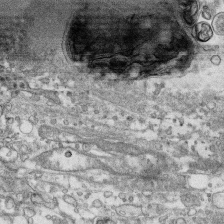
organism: Human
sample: CRL-1474